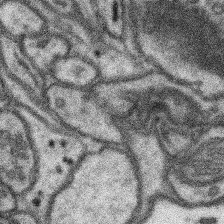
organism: Mouse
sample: Somatosensory cortex neuropil